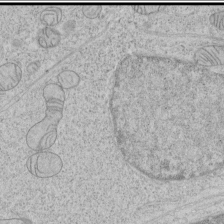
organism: Human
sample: Mitochondria in HCT116 cells